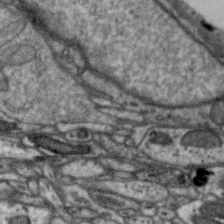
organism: Zebra finch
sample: Brain